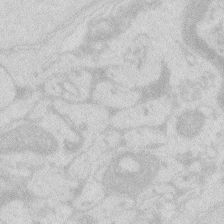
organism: Zebrafish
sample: Macrophage